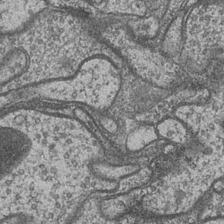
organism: Drosophila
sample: Optic medulla